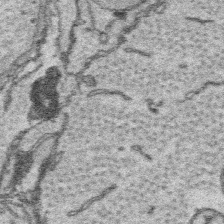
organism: Platynereis dumerilii